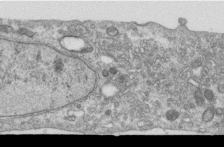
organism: Human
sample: Centriole in RPE cells